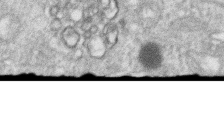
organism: Human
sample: HeLa cell HIV synapse